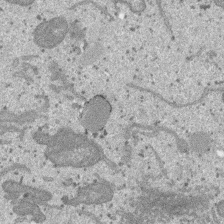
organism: Human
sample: Lung epithelial cells infected with SARS-CoV-2